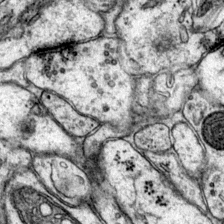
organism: Mouse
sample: Primary visual cortex